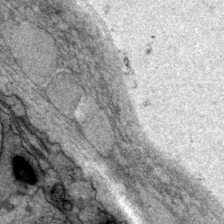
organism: P. pacificus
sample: Pharynx